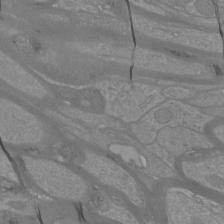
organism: Mouse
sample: Cortical neurons